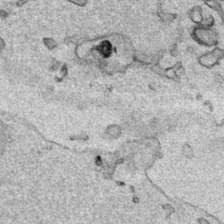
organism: Human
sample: Mitochondria in HCT116 cells